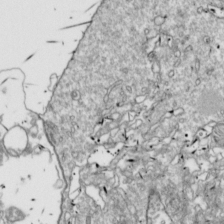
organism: Drosophila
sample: Cell division; meiosis; drosophila spermatocytes